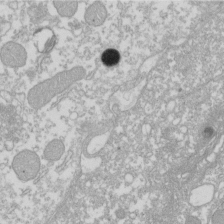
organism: Xenopus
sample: Cilia; centrioles in frog embryo cells